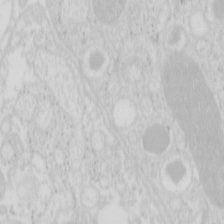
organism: Mouse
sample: Pancreas